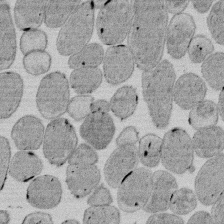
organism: E. coli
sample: Bacterial nucleoid